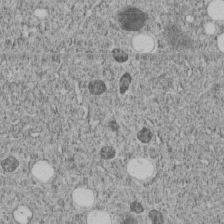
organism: C. elegans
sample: C. elegans embryo early stage